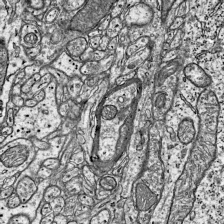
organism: Mouse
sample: Visual Cortex